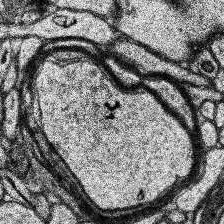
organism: Human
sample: Temporal Lobe